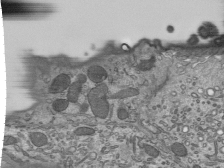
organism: Mouse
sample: Mouse epididymis efferent ductule cilia